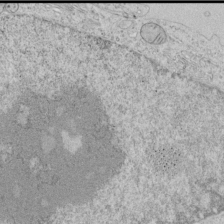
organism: Human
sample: Mitochondria in HCT116 cells